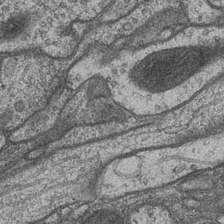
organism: Drosophila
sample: Optic medulla